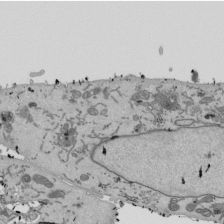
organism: Mouse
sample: ED-1 cell nuclei; centrioles